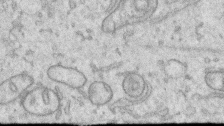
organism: Human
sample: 1205lu cells